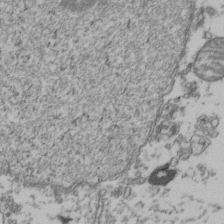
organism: Human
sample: Activated Jurkat CD4+ T cells